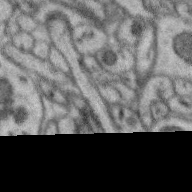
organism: Zebra finch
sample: Brain